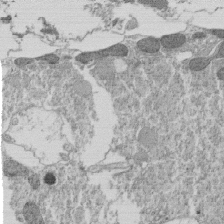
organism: Tetrahymena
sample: Cilia in tetrahymena